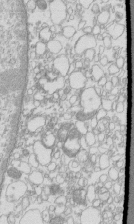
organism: Mouse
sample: Macrophages